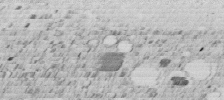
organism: C. elegans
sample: C. elegans embryo early stage